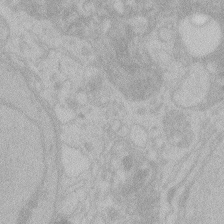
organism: Zebrafish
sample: Macrophage infected with Toxoplasma gondii